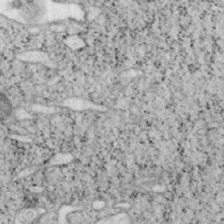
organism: Mouse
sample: OT-I killer T cells with ID8 ovarian cancer cells